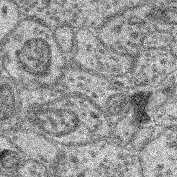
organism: Mouse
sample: Retina